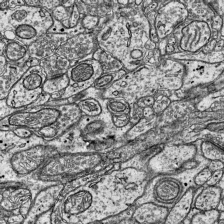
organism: Mouse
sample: Visual Cortex